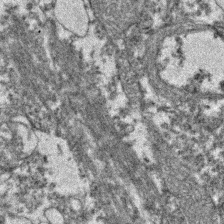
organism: Zebrafish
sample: Zebrafish embryo